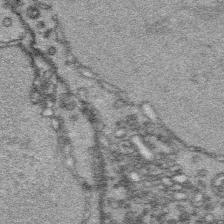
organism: Platynereis dumerilii